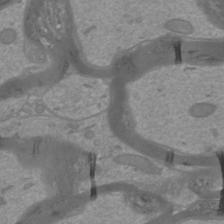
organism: Mouse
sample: Cortical neurons